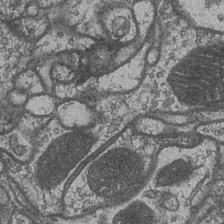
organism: Drosophila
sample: Optic medulla